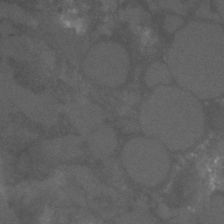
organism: C. elegans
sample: C. elegans embryo